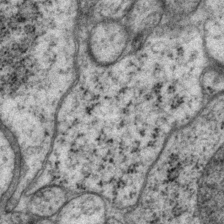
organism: P. pacificus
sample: Pharynx